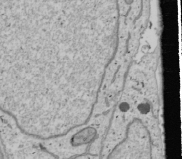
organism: Human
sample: Mitochondria in U2OS cells